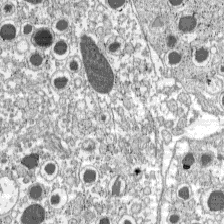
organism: C57BL Mouse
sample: Pancreatic islet